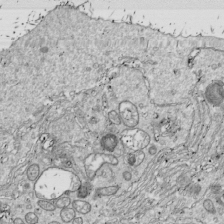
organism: Drosophila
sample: Cell division; meiosis; drosophila spermatocytes